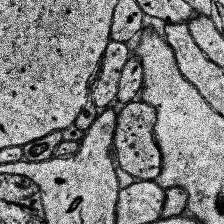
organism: Human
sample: Temporal Lobe